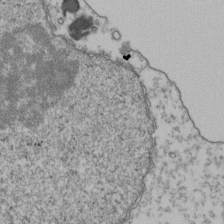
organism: Human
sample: Activated Jurkat CD4+ T cells